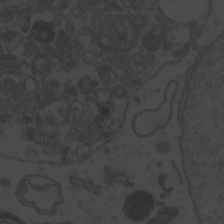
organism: Zebrafish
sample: Macrophage infected with Toxoplasma gondii